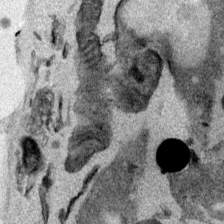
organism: Mouse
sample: Cancer cell death in ED-1 cells